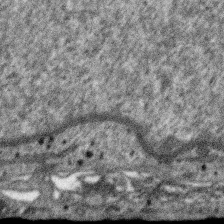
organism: Human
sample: Lung epithelial cells infected with SARS-CoV-2